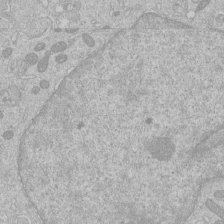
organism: Human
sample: Macrophage cells